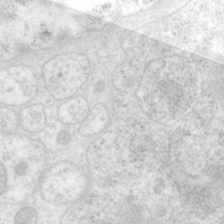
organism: P. pacificus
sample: Pharynx